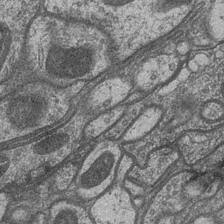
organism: Drosophila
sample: Optic medulla